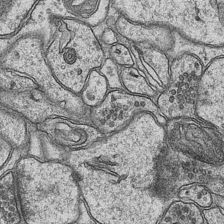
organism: Mouse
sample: CA1 Hippocampus